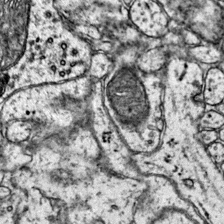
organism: Mouse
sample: Primary visual cortex